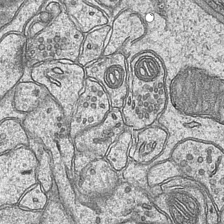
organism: Mouse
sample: CA1 Hippocampus